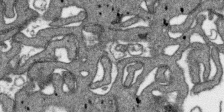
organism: Human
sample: Lung epithelial cells, uninfected (mock) control